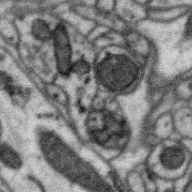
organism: Zebra finch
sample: Brain